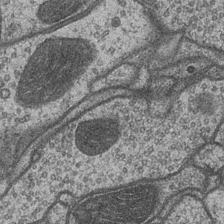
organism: Drosophila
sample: Optic medulla